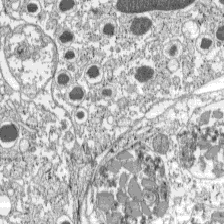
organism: C57BL Mouse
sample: Pancreatic islet